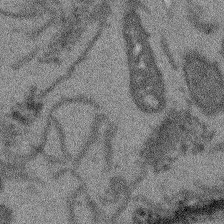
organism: Arabidopsis thaliana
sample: Root tip